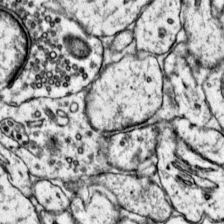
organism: Mouse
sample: Primary visual cortex